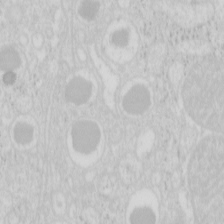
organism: Mouse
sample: Pancreas